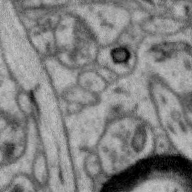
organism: Zebra finch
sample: Brain